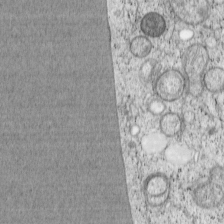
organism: African green monkey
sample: COS-7 cells